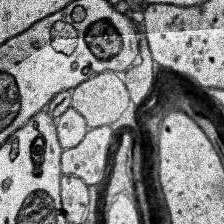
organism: Human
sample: Temporal Lobe